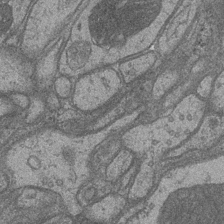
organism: Drosophila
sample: Optic medulla